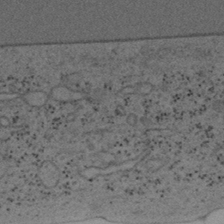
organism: Human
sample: HeLa cells